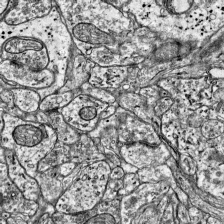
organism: Mouse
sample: Visual Cortex